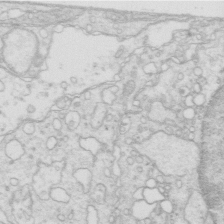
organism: Mouse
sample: Multiciliated cells